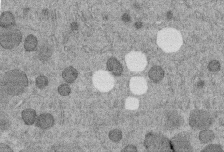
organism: C. elegans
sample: C. elegans embryo early stage